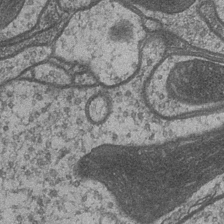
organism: Drosophila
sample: Optic medulla